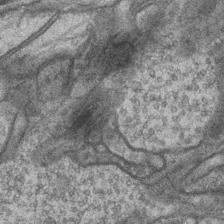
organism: Drosophila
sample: Optic medulla